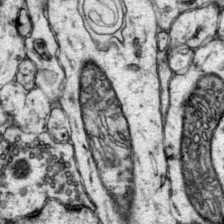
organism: Mouse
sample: Primary visual cortex